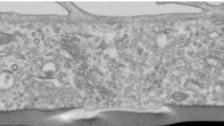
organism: Human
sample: Centriole in RPE cells